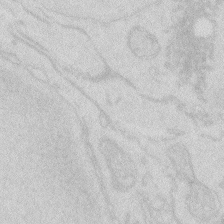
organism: Zebrafish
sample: Macrophage